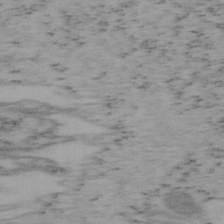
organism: Mouse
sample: OT-I killer T cells with ID8 ovarian cancer cells